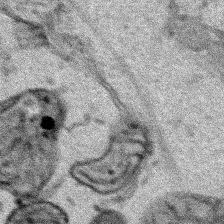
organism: Human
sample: Mitochondria in HCT116 cells